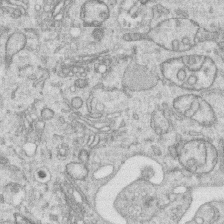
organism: Human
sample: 1205lu cells